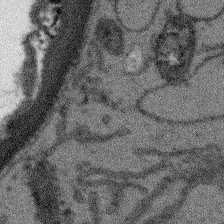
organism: Arabidopsis thaliana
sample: Root tip